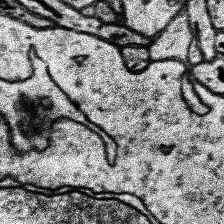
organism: Human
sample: Temporal Lobe